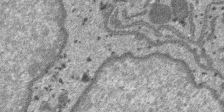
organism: Human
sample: Lung epithelial cells infected with SARS-CoV-2